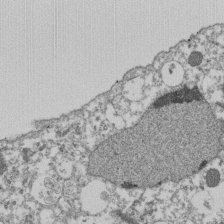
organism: Dictyostelium discoideum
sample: Dictyostelium multivesicular bodies